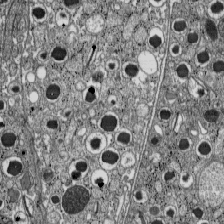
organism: C57BL Mouse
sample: Pancreatic islet